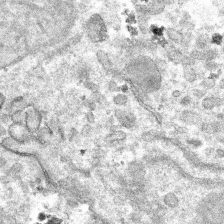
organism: Mouse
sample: Mouse hepatocytes